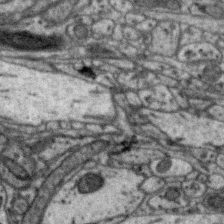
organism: Zebra finch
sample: Brain